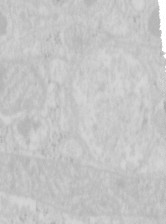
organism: Mouse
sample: Pancreas